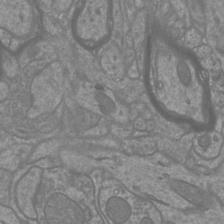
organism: Mouse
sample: Cortical neurons